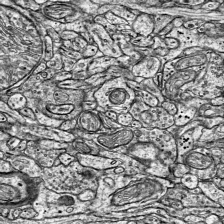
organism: Mouse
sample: Visual Cortex